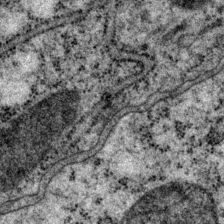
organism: P. pacificus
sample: Pharynx